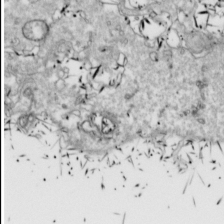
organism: Drosophila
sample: Cell division; meiosis; drosophila spermatocytes